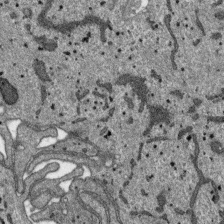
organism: Human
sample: Lung epithelial cells, uninfected (mock) control